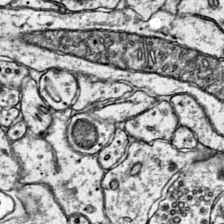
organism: Mouse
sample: Primary visual cortex